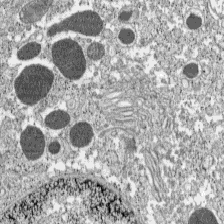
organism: C57BL Mouse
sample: Pancreatic islet